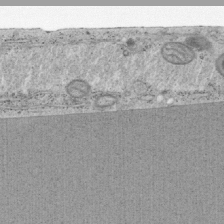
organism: Human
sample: HeLa cells